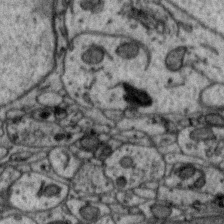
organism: Zebra finch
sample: Brain